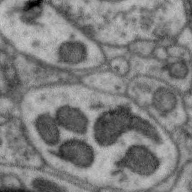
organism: Zebra finch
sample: Brain